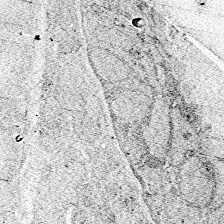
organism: Zebrafish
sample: Whole-Brain